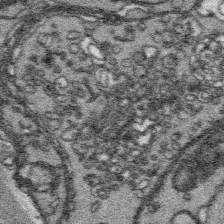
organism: Platynereis dumerilii